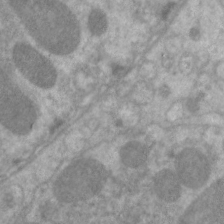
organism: C. elegans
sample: Pharynx